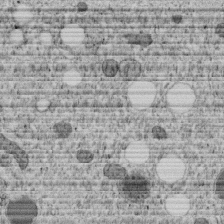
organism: C. elegans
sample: C. elegans embryo early stage